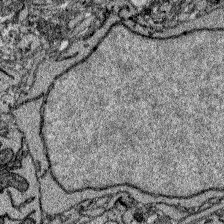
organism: Zebrafish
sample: Larval olfactory bulb